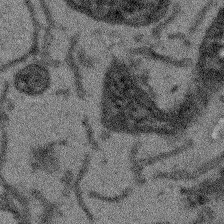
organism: Arabidopsis thaliana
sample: Root tip